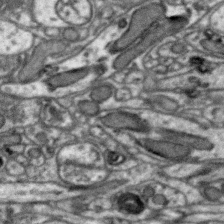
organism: Zebra finch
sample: Brain